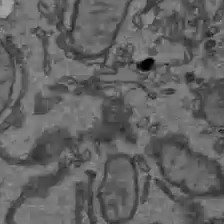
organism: C57BL Mouse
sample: Liver